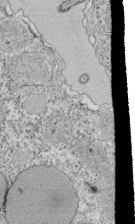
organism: Tetrahymena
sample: Cilia in tetrahymena